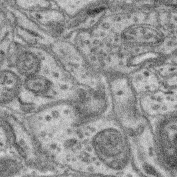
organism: Mouse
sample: Retina